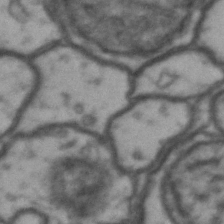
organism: Drosophila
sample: Brain